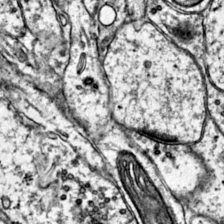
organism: Mouse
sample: Primary visual cortex